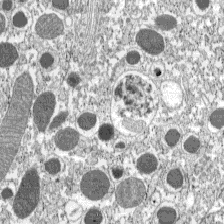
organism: C57BL Mouse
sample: Pancreatic islet